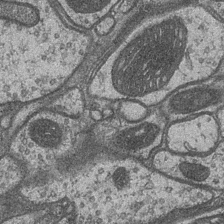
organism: Drosophila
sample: Optic medulla